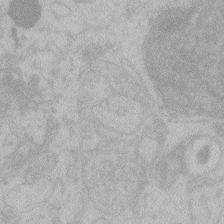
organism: Zebrafish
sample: Macrophage infected with Toxoplasma gondii